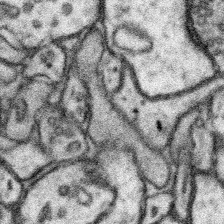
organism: Mouse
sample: Somatosensory cortex neuropil